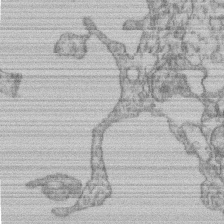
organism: Mouse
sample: T cell stromal cell synapse